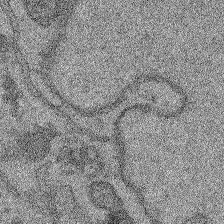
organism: Human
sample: HeLa cells